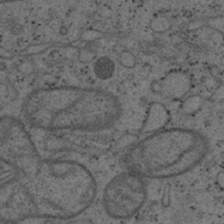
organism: Human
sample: HeLa cells